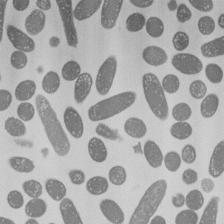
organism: E. coli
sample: Bacterial nucleoid